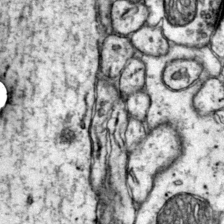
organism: Mouse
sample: Primary visual cortex